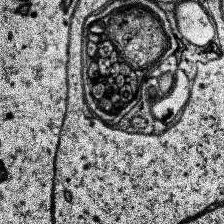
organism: Human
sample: Temporal Lobe